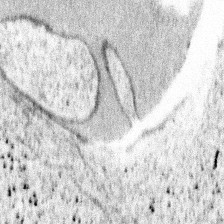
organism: Human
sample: HeLa cells